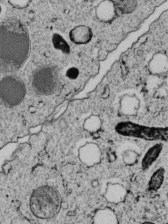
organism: C. elegans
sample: C. elegans embryo early stage